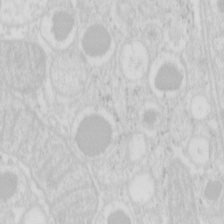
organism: Mouse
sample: Pancreas